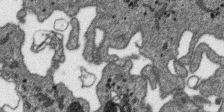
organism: Human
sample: Lung epithelial cells infected with SARS-CoV-2